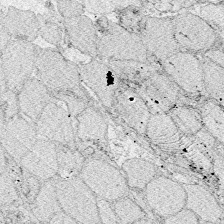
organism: Zebrafish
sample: Whole-Brain